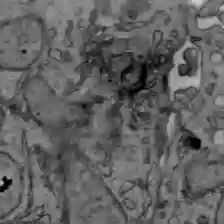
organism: C57BL Mouse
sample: Liver